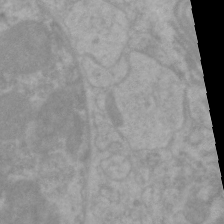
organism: C. elegans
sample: Pharynx